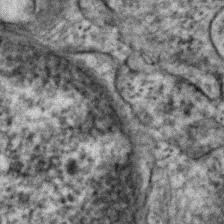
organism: Human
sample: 1205lu cells